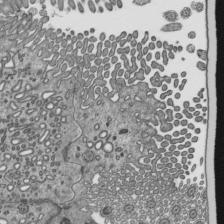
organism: Mouse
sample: Mouse epididymis efferent ductule cilia